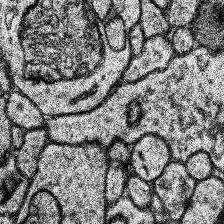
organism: Human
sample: Temporal Lobe